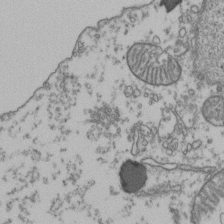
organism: Human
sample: Activated Jurkat CD4+ T cells